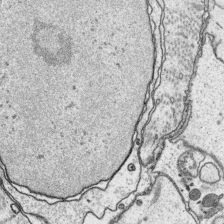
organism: Platynereis dumerilii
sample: Parapodia